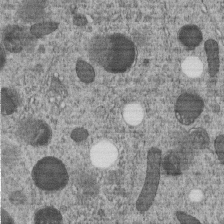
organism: C. elegans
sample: C. elegans embryo early stage